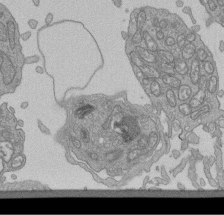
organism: Human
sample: Retinal organoid Rod and Cone cells